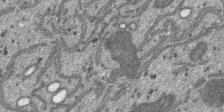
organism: Human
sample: Lung epithelial cells infected with SARS-CoV-2